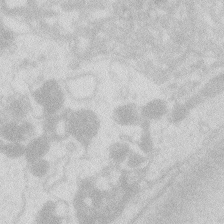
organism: Zebrafish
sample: Macrophage